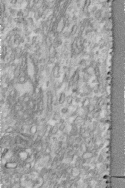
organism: Human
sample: Centriole in fibroblast cells